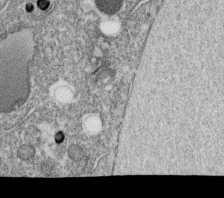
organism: C. elegans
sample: C. elegans oocyte; sperm cells